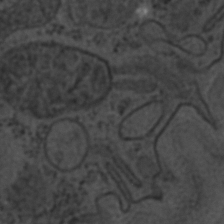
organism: C. elegans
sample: C. elegans embryo